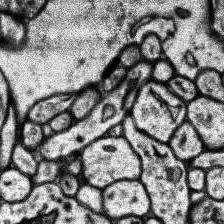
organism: Human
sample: Temporal Lobe